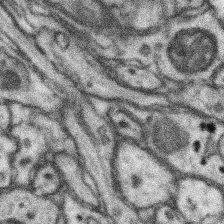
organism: Mouse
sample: Somatosensory cortex neuropil